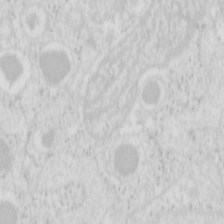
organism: Mouse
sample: Pancreas